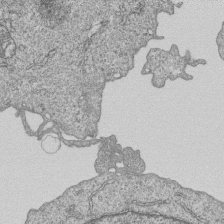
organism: Human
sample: MDA-MB-231 cells